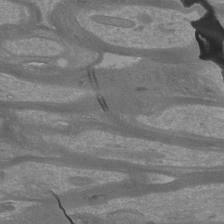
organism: Mouse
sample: Cortical neurons